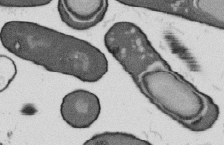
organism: B. subtilis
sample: Bacterial spore